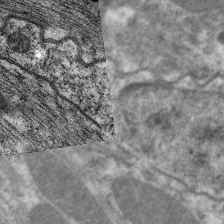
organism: C. elegans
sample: Pharynx